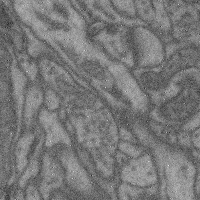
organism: Mouse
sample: Cerebral cortex